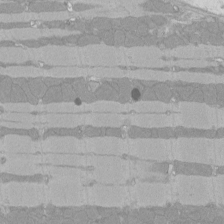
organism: Rat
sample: Left ventricle